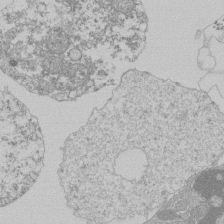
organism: Mouse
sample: Activated Pmel transgenic CD8+ T Cells